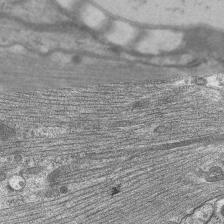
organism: C. elegans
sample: Pharynx